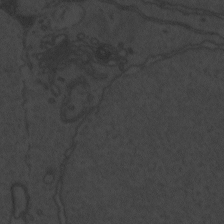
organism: Zebrafish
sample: Macrophage infected with Toxoplasma gondii